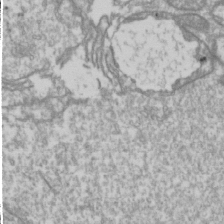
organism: Drosophila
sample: Cell division; meiosis; drosophila spermatocytes